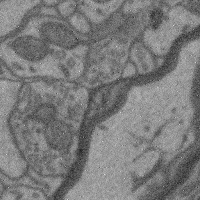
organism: Mouse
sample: Cerebral cortex